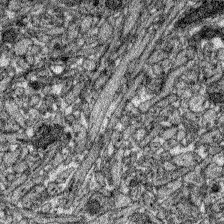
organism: Zebrafish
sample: Larval olfactory bulb